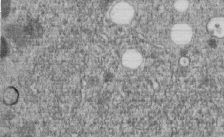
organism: C. elegans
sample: C. elegans embryo early stage